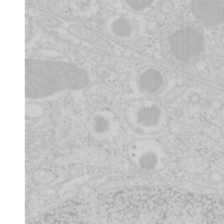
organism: Mouse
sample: Pancreas